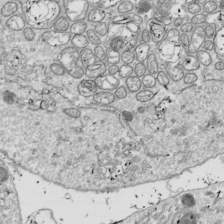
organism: Drosophila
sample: Cell division; meiosis; drosophila spermatocytes